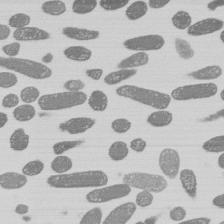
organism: E. coli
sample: Bacterial nucleoid